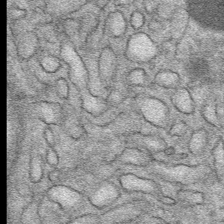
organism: Mouse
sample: Mouse Salivary gland